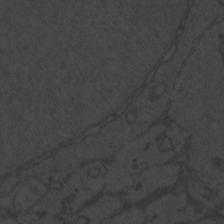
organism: Zebrafish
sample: Macrophage infected with Toxoplasma gondii